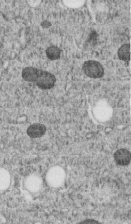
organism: C. elegans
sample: C. elegans embryo early stage